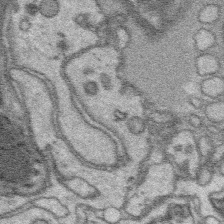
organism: Platynereis dumerilii